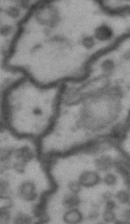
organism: Drosophila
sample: Brain